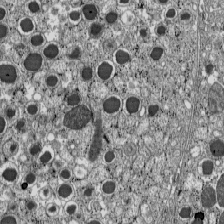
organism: C57BL Mouse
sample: Pancreatic islet